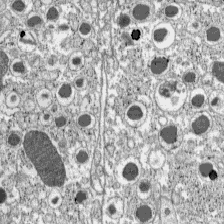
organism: C57BL Mouse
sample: Pancreatic islet